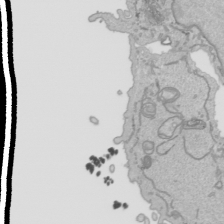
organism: Human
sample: Mitochondria in HCT116 cells